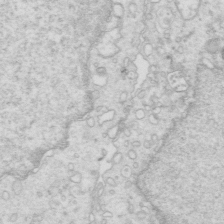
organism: Mouse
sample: Multiciliated cells